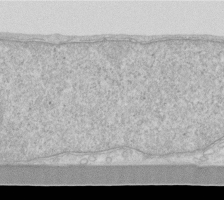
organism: Human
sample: Fibroblast cells